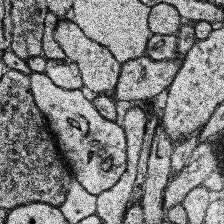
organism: Human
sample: Temporal Lobe